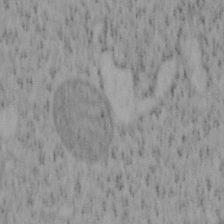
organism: Mouse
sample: OT-I killer T cells with ID8 ovarian cancer cells